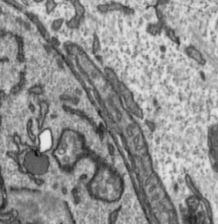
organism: Toxoplasma gondii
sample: Parasites in a vacuole inside a host cell